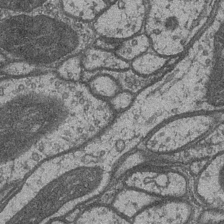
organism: Drosophila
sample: Optic medulla